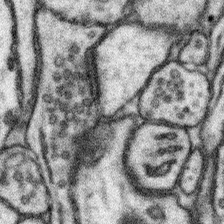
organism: Mouse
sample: Somatosensory cortex neuropil